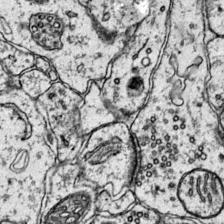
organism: Mouse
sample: Primary visual cortex